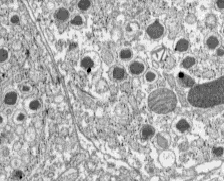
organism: C57BL Mouse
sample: Pancreatic islet